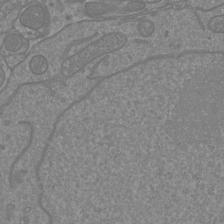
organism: Mouse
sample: Cortical neurons